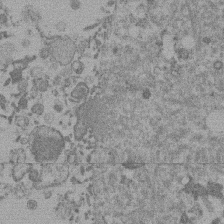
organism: Mouse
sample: Dividing mouse embryo 1 cell stage